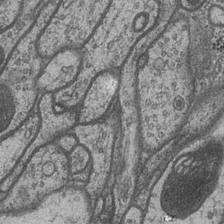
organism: Drosophila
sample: Optic medulla